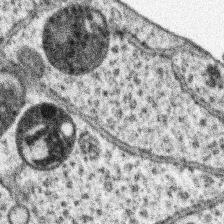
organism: Human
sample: HeLa cells